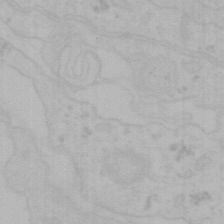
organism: Mouse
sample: Choroid plexus